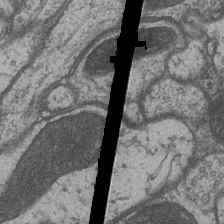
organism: Drosophila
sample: Optic medulla